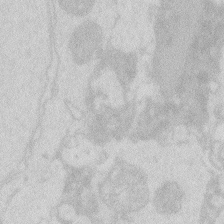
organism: Zebrafish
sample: Macrophage